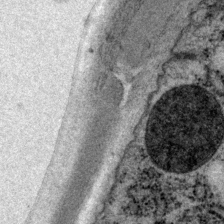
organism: P. pacificus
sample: Pharynx